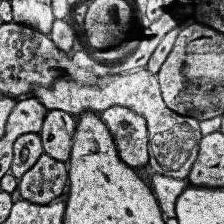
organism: Human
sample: Temporal Lobe